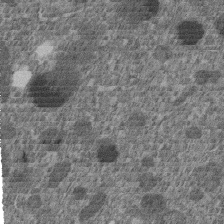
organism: C. elegans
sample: C. elegans embryo early stage